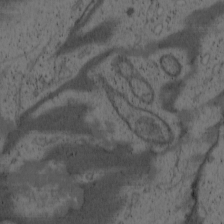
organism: African green monkey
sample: COS-7 cells